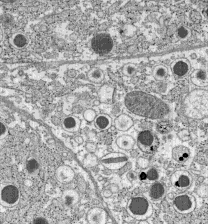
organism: C57BL Mouse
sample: Pancreatic islet